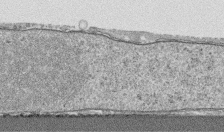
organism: Human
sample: CRL-1474